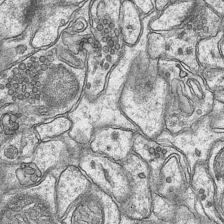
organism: Mouse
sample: CA1 Hippocampus